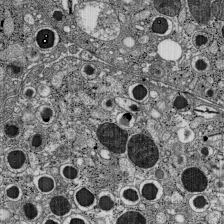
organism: C57BL Mouse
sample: Pancreatic islet